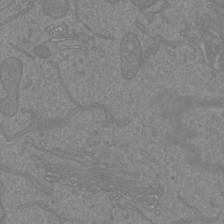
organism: Mouse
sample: Cortical neurons